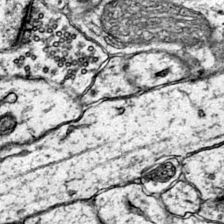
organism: Mouse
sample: Primary visual cortex